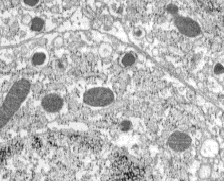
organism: C57BL Mouse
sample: Pancreatic islet